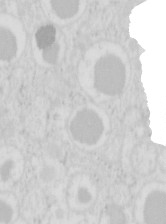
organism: Mouse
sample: Pancreas